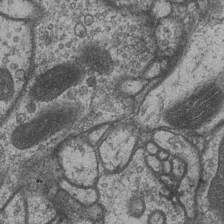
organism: Drosophila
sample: Optic medulla